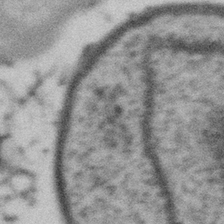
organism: Gemmata obscuriglobus